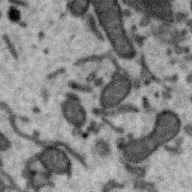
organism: Zebra finch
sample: Brain